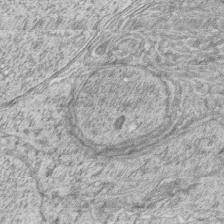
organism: Zebrafish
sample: synaptic ribbons in rod cells and cone cells